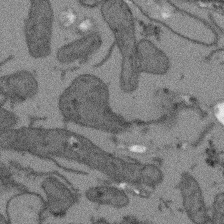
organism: Arabidopsis thaliana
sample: Root tip